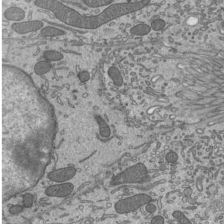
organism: Mouse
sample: Mouse epididymis efferent ductule cilia